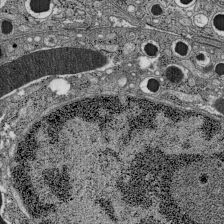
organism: C57BL Mouse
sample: Pancreatic islet